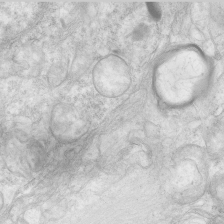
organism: Human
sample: Neocortex